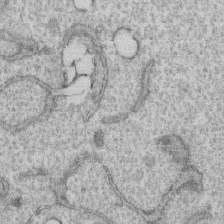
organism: Human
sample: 1205lu cells